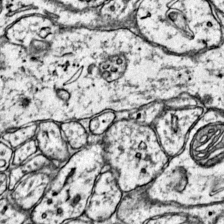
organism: Mouse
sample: Primary visual cortex